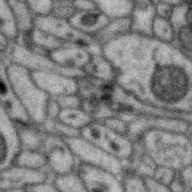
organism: Zebra finch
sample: Brain